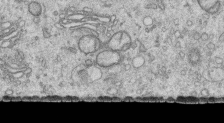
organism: Human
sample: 1205lu cells